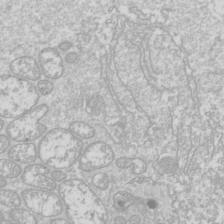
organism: Drosophila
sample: Cell division; meiosis; drosophila spermatocytes